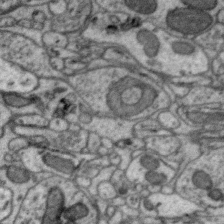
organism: Zebra finch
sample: Brain